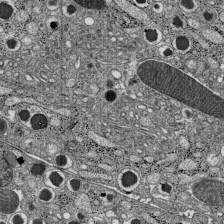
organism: C57BL Mouse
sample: Pancreatic islet